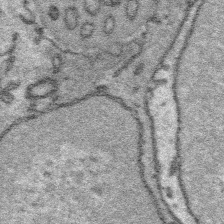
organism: Platynereis dumerilii